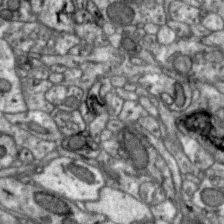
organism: Zebra finch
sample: Brain